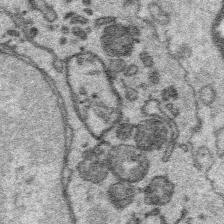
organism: Platynereis dumerilii